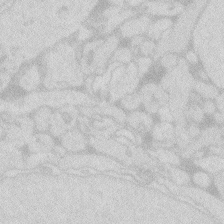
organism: Zebrafish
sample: Macrophage